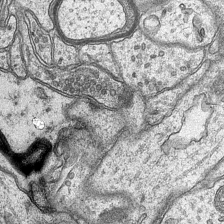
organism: Mouse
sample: CA1 Hippocampus